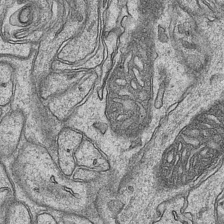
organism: Mouse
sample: CA1 Hippocampus